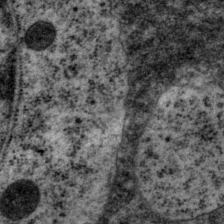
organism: P. pacificus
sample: Pharynx